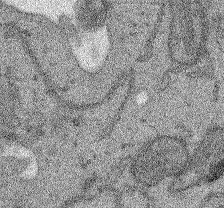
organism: Human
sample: HeLa cells